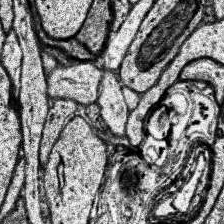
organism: Human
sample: Temporal Lobe